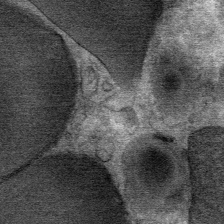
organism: Mouse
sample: Mouse Salivary gland